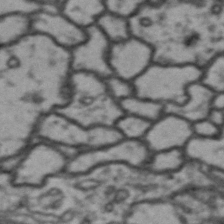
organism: Drosophila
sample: Brain